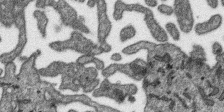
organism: Human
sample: Lung epithelial cells infected with SARS-CoV-2